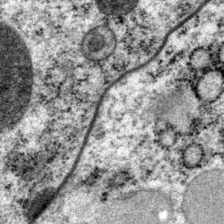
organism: P. pacificus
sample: Pharynx